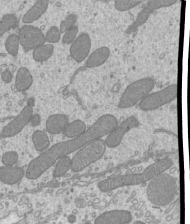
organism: Mouse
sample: Cilia; mouse epididymis